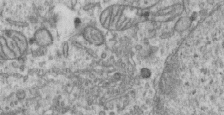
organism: Human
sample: Centriole in RPE cells